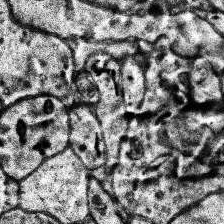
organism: Human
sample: Temporal Lobe